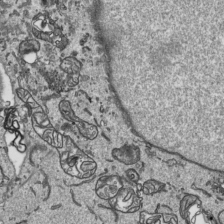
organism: Human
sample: Mitochondria in HCT116 cells